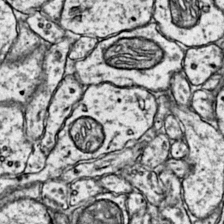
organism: Mouse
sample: Primary visual cortex